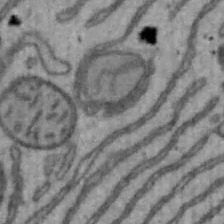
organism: Mouse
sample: Liver